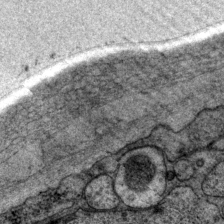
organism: P. pacificus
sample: Pharynx